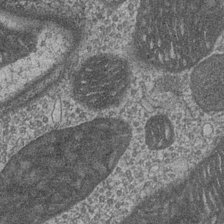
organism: Drosophila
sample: Optic medulla